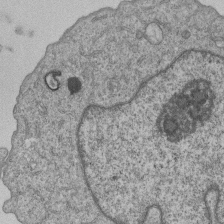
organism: Human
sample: MDA-MB-231 cells